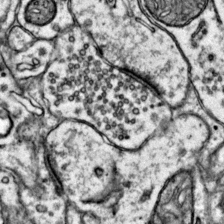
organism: Mouse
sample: Primary visual cortex